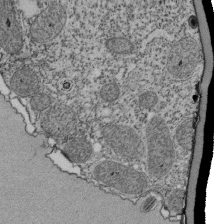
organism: Tetrahymena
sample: Cilia in tetrahymena